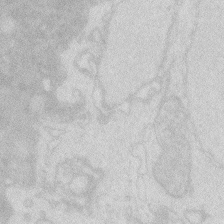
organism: Zebrafish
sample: Macrophage